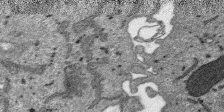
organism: Human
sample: Lung epithelial cells infected with SARS-CoV-2